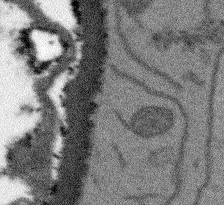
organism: Arabidopsis thaliana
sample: Root tip